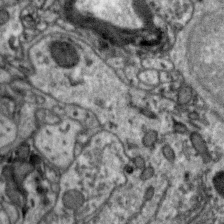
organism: Zebra finch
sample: Brain